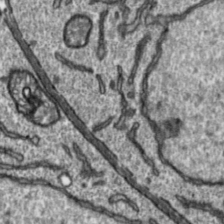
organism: Toxoplasma gondii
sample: Parasites in a vacuole inside a host cell